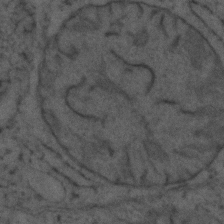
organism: Zebrafish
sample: Zebrafish embryo